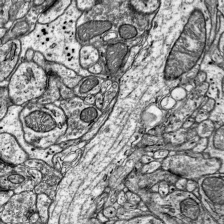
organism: Mouse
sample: Visual Cortex